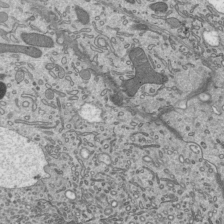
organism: Mouse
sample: Mouse epididymis efferent ductule cilia